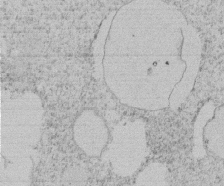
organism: Tetrahymena